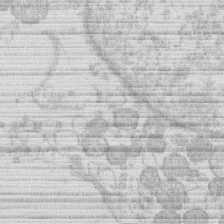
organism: Human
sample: Macrophage cells